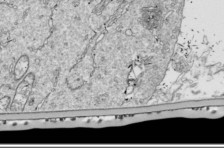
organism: Drosophila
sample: Cell division; meiosis; drosophila spermatocytes